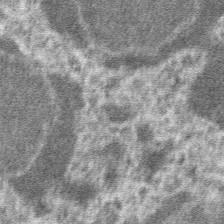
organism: Mouse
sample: Mouse hepatocytes